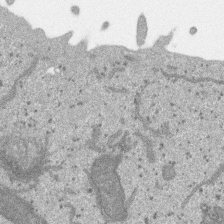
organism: Human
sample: Lung epithelial cells infected with SARS-CoV-2